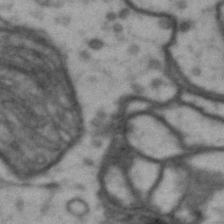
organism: Drosophila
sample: Brain